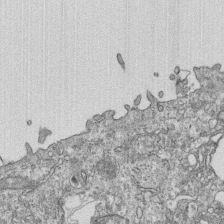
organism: Human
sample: HeLa cell HIV synapse